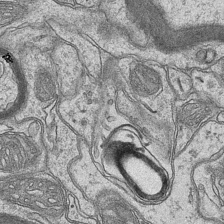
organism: Mouse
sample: CA1 Hippocampus